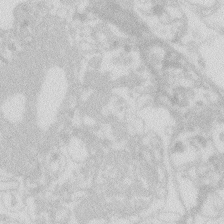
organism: Zebrafish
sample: Macrophage